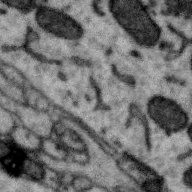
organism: Zebra finch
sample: Brain